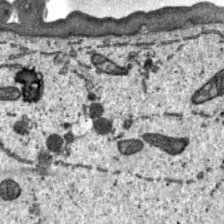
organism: Human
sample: HeLa cells